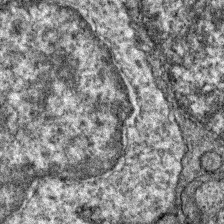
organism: Zebrafish